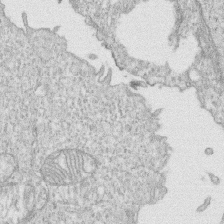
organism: Human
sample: HeLa cell HIV synapse